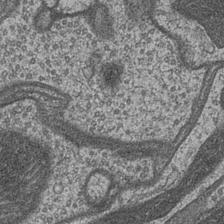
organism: Drosophila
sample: Optic medulla